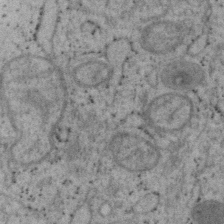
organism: Human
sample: HeLa cells